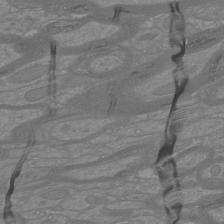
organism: Mouse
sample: Cortical neurons